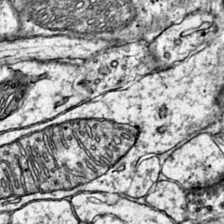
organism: Mouse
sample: Primary visual cortex